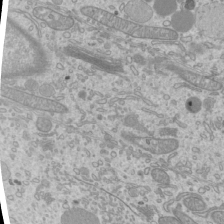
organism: Mouse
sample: Cilia; mouse epididymis